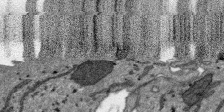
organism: Human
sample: Lung epithelial cells, uninfected (mock) control